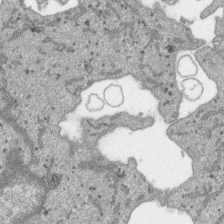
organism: Human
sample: Lung epithelial cells infected with SARS-CoV-2